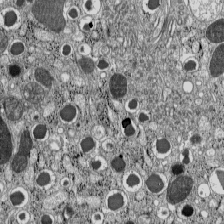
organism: C57BL Mouse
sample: Pancreatic islet